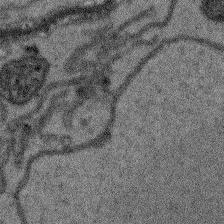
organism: Arabidopsis thaliana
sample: Root tip